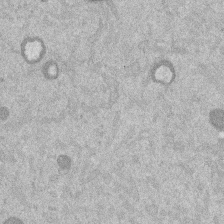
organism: Mouse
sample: Dividing mouse embryo 1 cell stage